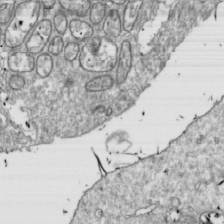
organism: Drosophila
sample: Cell division; meiosis; drosophila spermatocytes